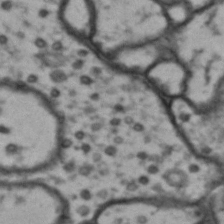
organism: Drosophila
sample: Brain